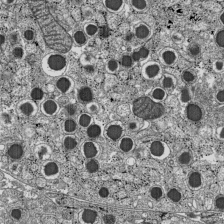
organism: C57BL Mouse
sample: Pancreatic islet